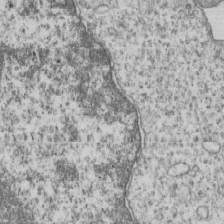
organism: Human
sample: MDA-MB-231 cells